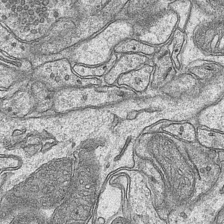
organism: Mouse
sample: CA1 Hippocampus